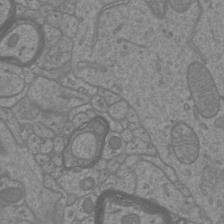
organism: Mouse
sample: Cortical neurons